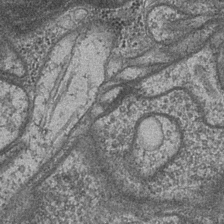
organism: Drosophila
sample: Optic medulla